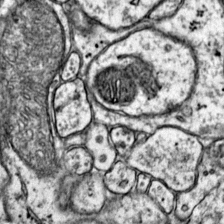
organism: Mouse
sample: Primary visual cortex